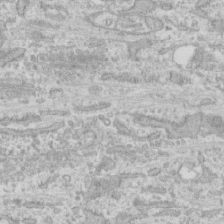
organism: Human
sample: CRL-1474